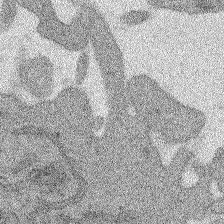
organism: Human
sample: HeLa cells